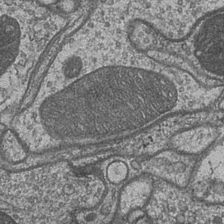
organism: Drosophila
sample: Optic medulla